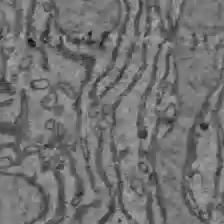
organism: C57BL Mouse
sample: Liver